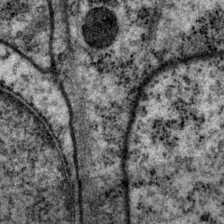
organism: P. pacificus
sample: Pharynx